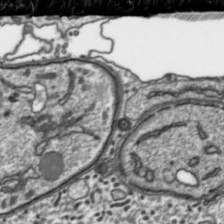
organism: Toxoplasma gondii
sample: Parasites in a vacuole inside a host cell